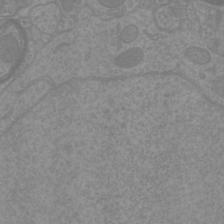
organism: Mouse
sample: Cortical neurons